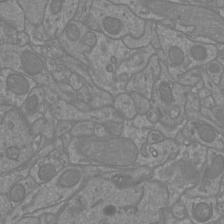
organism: Mouse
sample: Cortical neurons